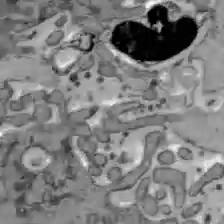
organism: C57BL Mouse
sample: Liver